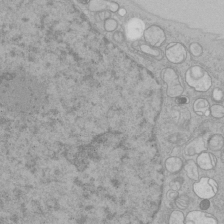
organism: Human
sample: Mitochondria in HCT116 cells